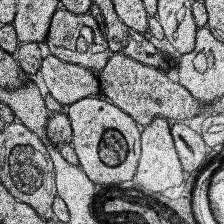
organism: Human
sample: Temporal Lobe